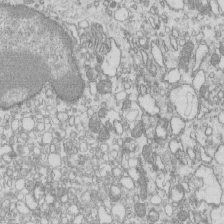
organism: Mouse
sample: Macrophages